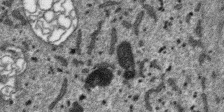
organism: Human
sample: Lung epithelial cells infected with SARS-CoV-2